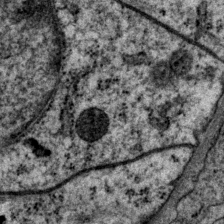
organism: P. pacificus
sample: Pharynx